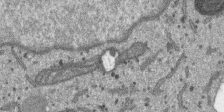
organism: Human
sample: Lung epithelial cells infected with SARS-CoV-2